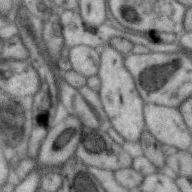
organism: Zebra finch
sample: Brain